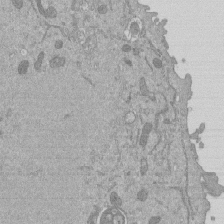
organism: Mouse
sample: ED-1 cell nuclei; centrioles